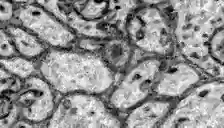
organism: Zebrafish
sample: Brain